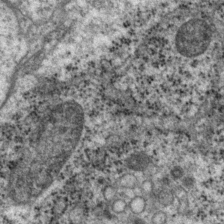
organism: P. pacificus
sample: Pharynx